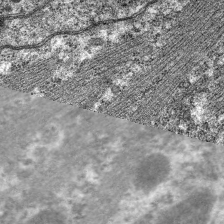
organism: C. elegans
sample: Pharynx